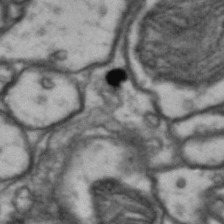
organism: Drosophila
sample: Brain